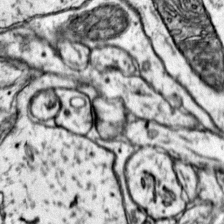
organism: Mouse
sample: Primary visual cortex